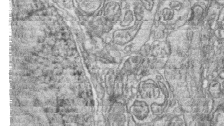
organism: Zebrafish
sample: synaptic ribbons in rod cells and cone cells